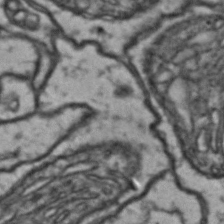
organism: Drosophila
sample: Brain